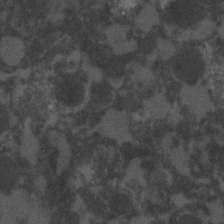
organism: C. elegans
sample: C. elegans embryo